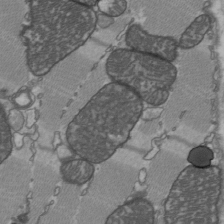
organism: C57BL Mouse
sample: Heart